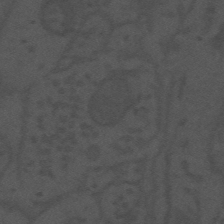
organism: Mouse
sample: Suprachiasmatic nucleus